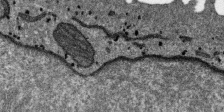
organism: Human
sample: Lung epithelial cells, uninfected (mock) control